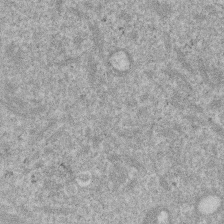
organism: Mouse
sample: Dividing mouse embryo 1 cell stage